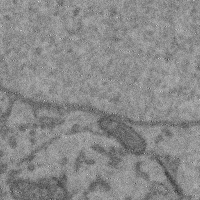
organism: Mouse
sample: Cerebral cortex